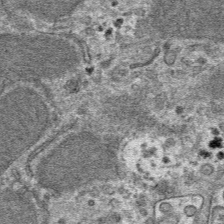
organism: Mouse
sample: Mouse hepatocytes